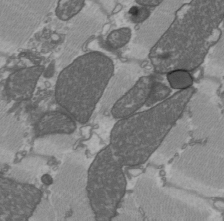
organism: C57BL Mouse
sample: Heart